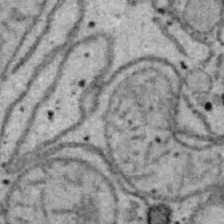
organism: Mouse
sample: Liver from an obese (ob/ob) mouse